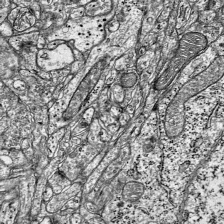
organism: Mouse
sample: Visual Cortex